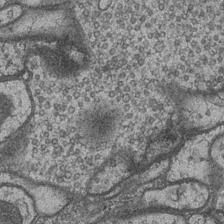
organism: Drosophila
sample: Optic medulla